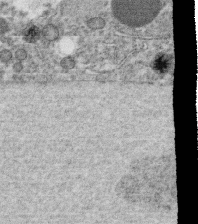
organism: C. elegans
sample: C. elegans oocyte; sperm cells